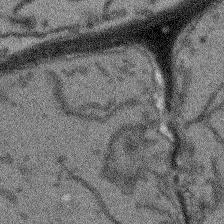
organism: Arabidopsis thaliana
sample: Root tip